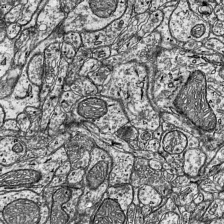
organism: Mouse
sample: Visual Cortex